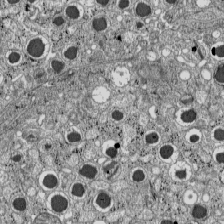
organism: C57BL Mouse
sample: Pancreatic islet